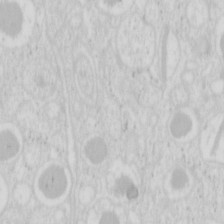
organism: Mouse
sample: Pancreas